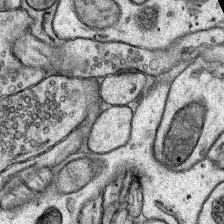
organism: Rat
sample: Hippocampus